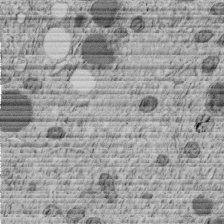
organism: C. elegans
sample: C. elegans embryo early stage